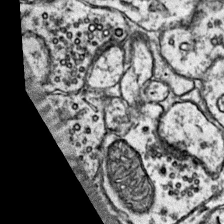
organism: Mouse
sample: Primary visual cortex